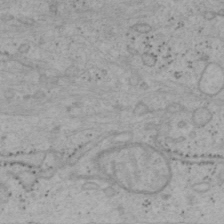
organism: Human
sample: HeLa cells